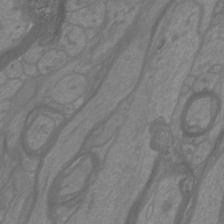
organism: Mouse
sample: Cortical neurons